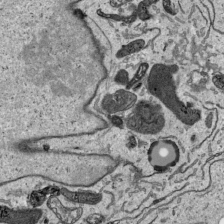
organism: Human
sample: Mitochondria in HCT116 cells